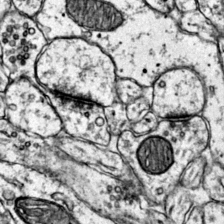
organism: Mouse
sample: Primary visual cortex